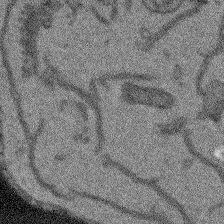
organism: Arabidopsis thaliana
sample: Root tip